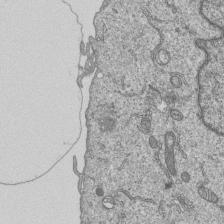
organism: Human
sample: MDA-MB-231 cells